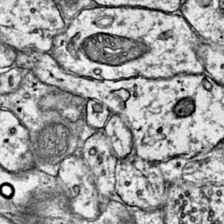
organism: Mouse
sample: Primary visual cortex